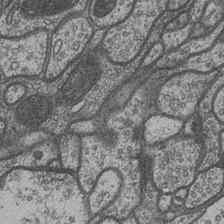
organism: Drosophila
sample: Optic medulla